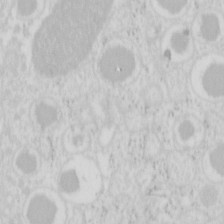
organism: Mouse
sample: Pancreas